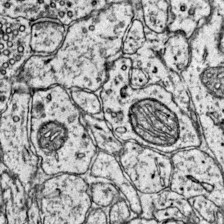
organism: Mouse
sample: Primary visual cortex